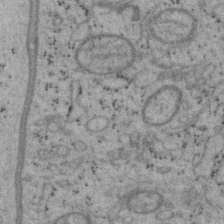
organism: Human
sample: HeLa cells